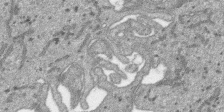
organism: Human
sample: Lung epithelial cells infected with SARS-CoV-2